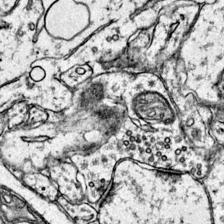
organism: Mouse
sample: Primary visual cortex